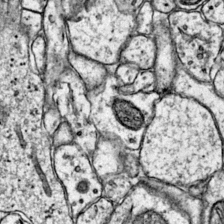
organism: Mouse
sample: Primary visual cortex